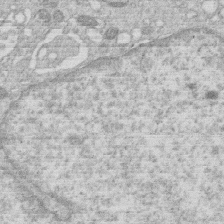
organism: Human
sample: Macrophage cells